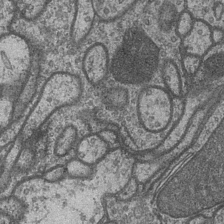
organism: Drosophila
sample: Optic medulla